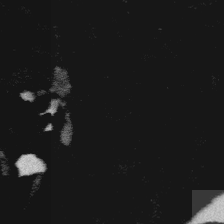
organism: Platynereis dumerilii